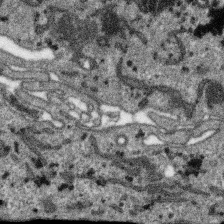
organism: Human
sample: Lung epithelial cells infected with SARS-CoV-2